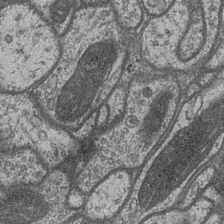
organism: Drosophila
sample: Optic medulla